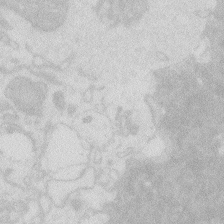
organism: Zebrafish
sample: Macrophage